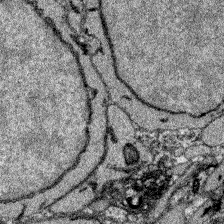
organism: Zebrafish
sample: Larval olfactory bulb